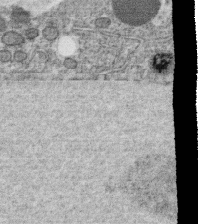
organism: C. elegans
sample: C. elegans oocyte; sperm cells